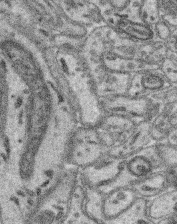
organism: Mouse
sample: Retina